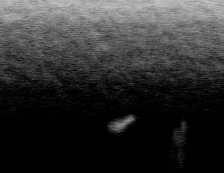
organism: Human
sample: HeLa cells